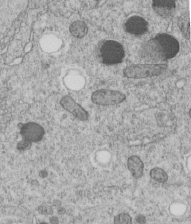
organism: C. elegans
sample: C. elegans embryo early stage